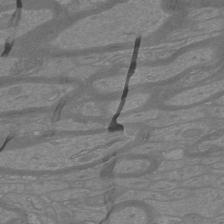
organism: Mouse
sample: Cortical neurons